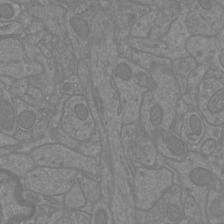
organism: Mouse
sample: Cortical neurons